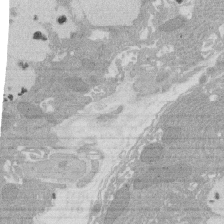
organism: Rat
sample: Salivary granule